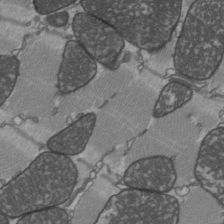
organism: C57BL Mouse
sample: Heart